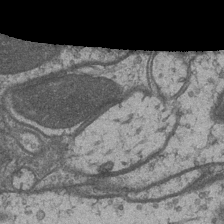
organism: Drosophila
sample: Optic medulla